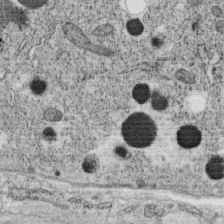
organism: C. elegans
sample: C. elegans oocyte; sperm cells